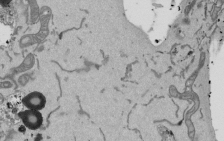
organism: Mouse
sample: ED-1 cell nuclei; centrioles